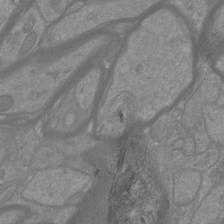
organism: Mouse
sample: Cortical neurons